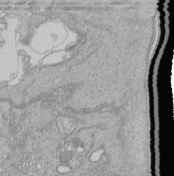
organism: Human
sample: Retinal organoid Rod and Cone cells